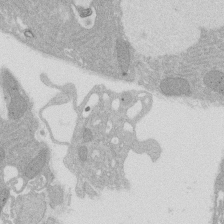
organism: Rat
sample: Salivary granule